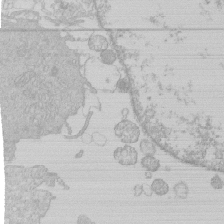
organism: Human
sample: Macrophage cells